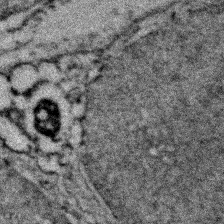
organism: Zebrafish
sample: Zebrafish embryo